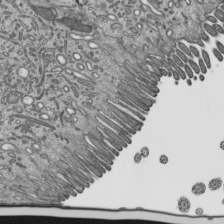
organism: Mouse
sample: Mouse epididymis efferent ductule cilia